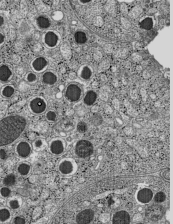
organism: C57BL Mouse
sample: Pancreatic islet